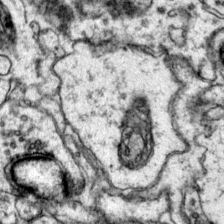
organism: Mouse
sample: Primary visual cortex